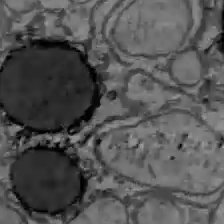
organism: C57BL Mouse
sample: Liver